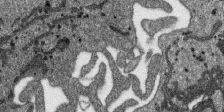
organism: Human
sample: Lung epithelial cells infected with SARS-CoV-2